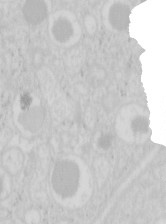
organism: Mouse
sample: Pancreas